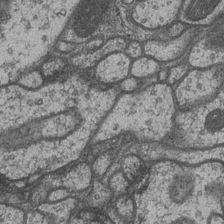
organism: Drosophila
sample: Optic medulla